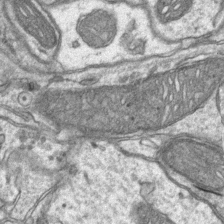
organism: Mouse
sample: CA1 Hippocampus